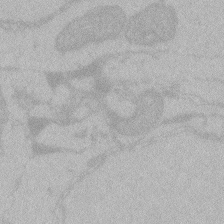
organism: Zebrafish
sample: Macrophage infected with Toxoplasma gondii